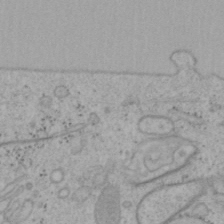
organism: Human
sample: HeLa cells